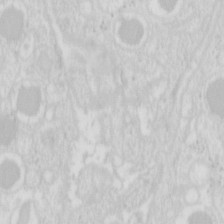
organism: Mouse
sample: Pancreas